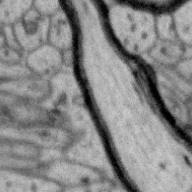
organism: Zebra finch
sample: Brain